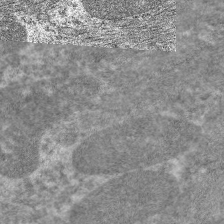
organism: C. elegans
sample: Pharynx